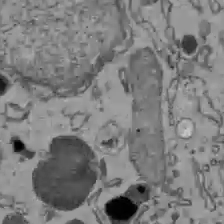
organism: C57BL Mouse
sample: Liver